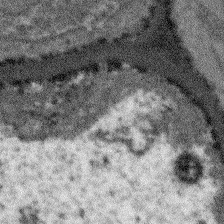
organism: Arabidopsis thaliana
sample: Root tip